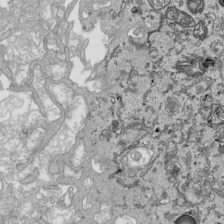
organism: Human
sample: Mitochondria in HCT116 cells